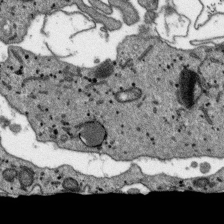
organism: Human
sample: Lung epithelial cells, uninfected (mock) control